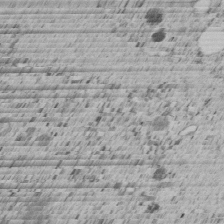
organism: C. elegans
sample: C. elegans embryo early stage